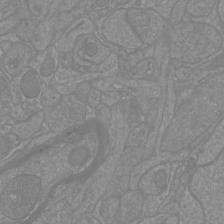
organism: Mouse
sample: Cortical neurons